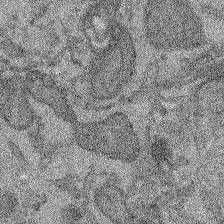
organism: Human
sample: HeLa cells